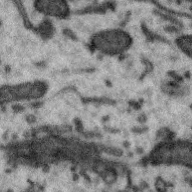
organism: Zebra finch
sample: Brain